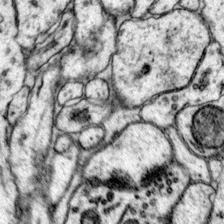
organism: Mouse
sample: Primary visual cortex